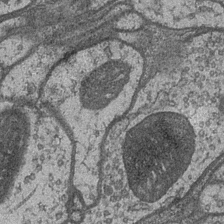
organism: Drosophila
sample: Optic medulla